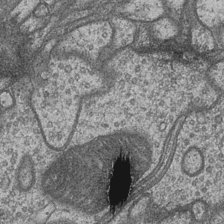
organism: Drosophila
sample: Optic medulla